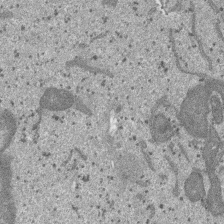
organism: Human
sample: Lung epithelial cells infected with SARS-CoV-2